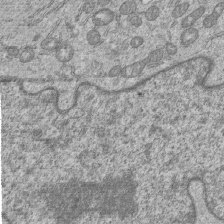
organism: Human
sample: MDA-MB-231 cells